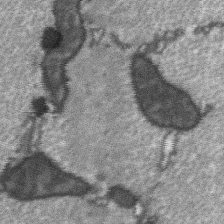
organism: C57BL Mouse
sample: Soleus